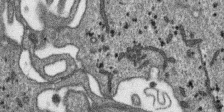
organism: Human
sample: Lung epithelial cells infected with SARS-CoV-2